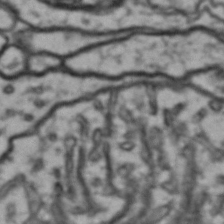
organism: Drosophila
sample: Brain